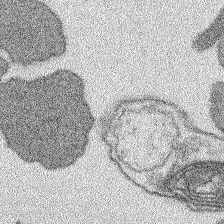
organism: Human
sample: HeLa cells